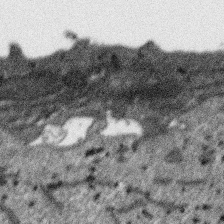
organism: Human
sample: Lung epithelial cells infected with SARS-CoV-2